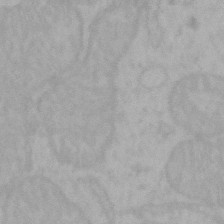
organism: Mouse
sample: Choroid plexus